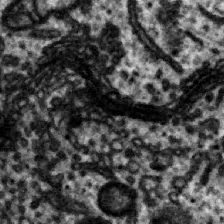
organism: Human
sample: HeLa cells